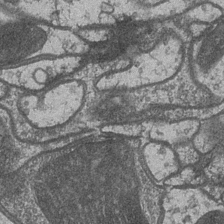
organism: Drosophila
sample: Optic medulla